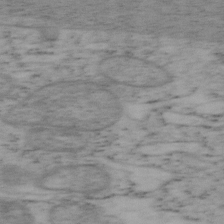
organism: Mouse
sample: OT-I killer T cells with ID8 ovarian cancer cells